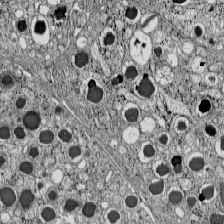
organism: C57BL Mouse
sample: Pancreatic islet